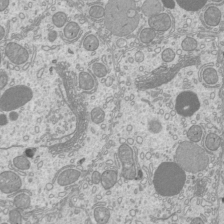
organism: Mouse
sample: Cilia; mouse epididymis